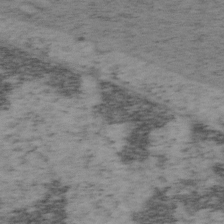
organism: Mouse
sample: OT-I killer T cells with ID8 ovarian cancer cells